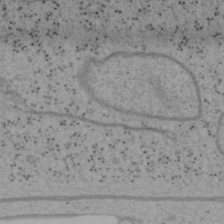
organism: Human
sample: HeLa cells